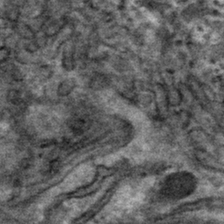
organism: Mouse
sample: Mouse hepatocytes